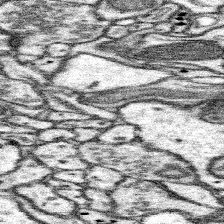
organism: Mouse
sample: Somatosensory cortex neuropil